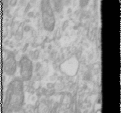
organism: Human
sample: Cilia; basal body in RPE cells